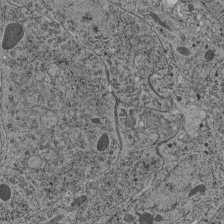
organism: C. elegans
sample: C. elegans pharynx